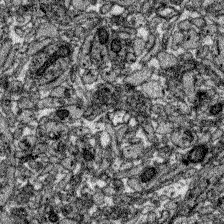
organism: Zebrafish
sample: Larval olfactory bulb